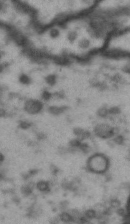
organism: Drosophila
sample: Brain